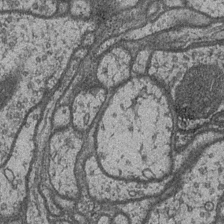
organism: Drosophila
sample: Optic medulla